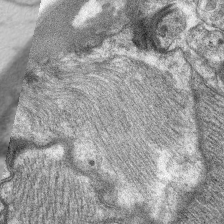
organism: C. elegans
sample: Pharynx